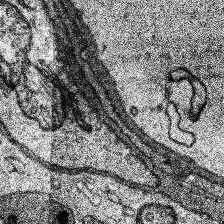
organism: Human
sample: Temporal Lobe